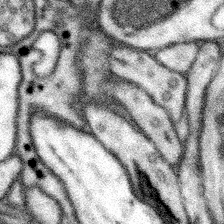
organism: Mouse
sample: Somatosensory cortex neuropil